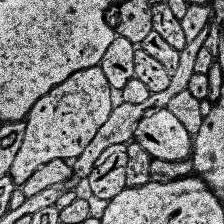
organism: Human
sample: Temporal Lobe